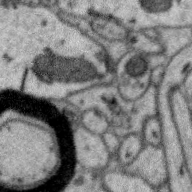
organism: Zebra finch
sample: Brain